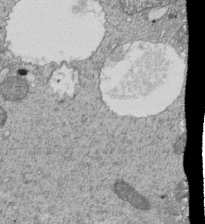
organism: Tetrahymena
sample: Cilia in tetrahymena